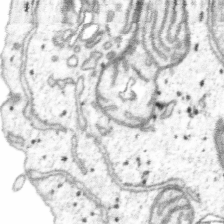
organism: Human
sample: HeLa cells